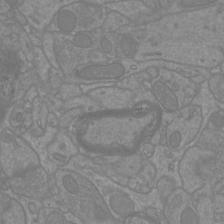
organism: Mouse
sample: Cortical neurons